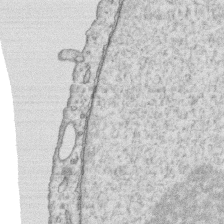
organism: Human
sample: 1205lu cells